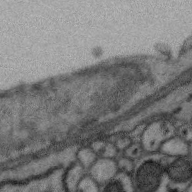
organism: Zebra finch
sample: Brain